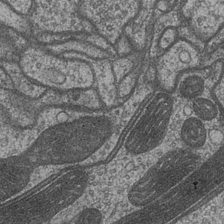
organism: Drosophila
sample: Optic medulla